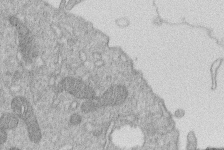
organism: Human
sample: Macrophage cells